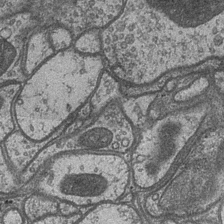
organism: Drosophila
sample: Optic medulla